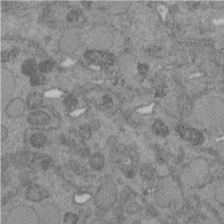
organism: C. elegans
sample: C. elegans embryo early stage